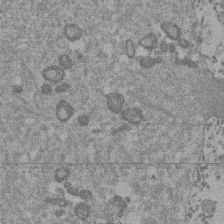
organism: Mouse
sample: Dividing mouse embryo 1 cell stage